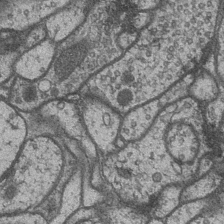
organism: Drosophila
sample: Optic medulla